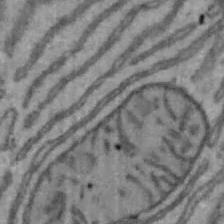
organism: Mouse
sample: Liver